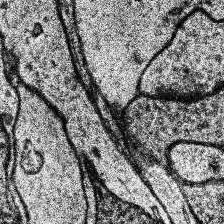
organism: Human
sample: Temporal Lobe